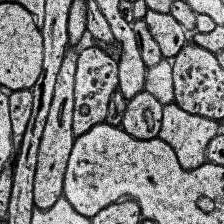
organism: Human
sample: Temporal Lobe